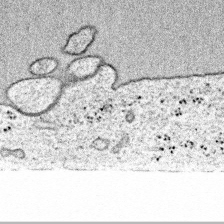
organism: Human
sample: HeLa cells